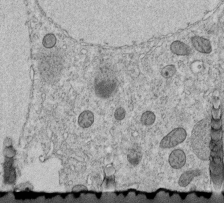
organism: C. elegans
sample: C. elegans embryo early stage